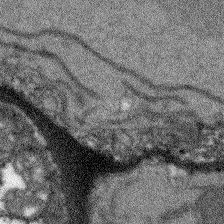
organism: Arabidopsis thaliana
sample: Root tip